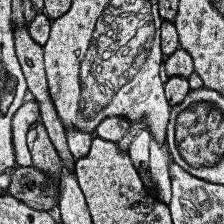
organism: Human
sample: Temporal Lobe